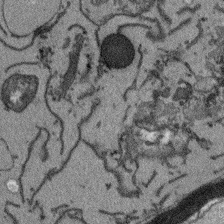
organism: Arabidopsis thaliana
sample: Root tip